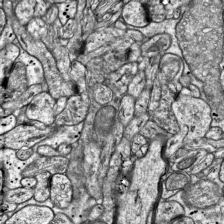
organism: Mouse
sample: Visual Cortex